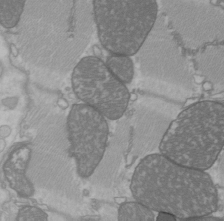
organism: C57BL Mouse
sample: Heart